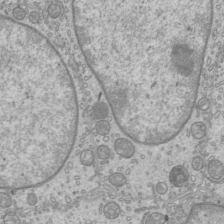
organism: Mouse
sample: Cilia; mouse epididymis